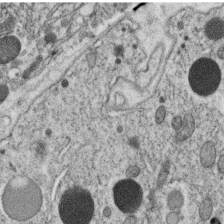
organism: C. elegans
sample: C. elegans oocyte; sperm cells